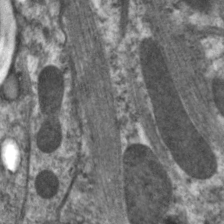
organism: C. elegans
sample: Pharynx